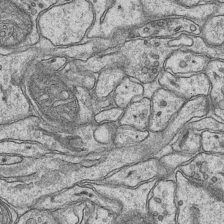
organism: Mouse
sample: CA1 Hippocampus